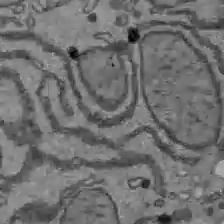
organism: C57BL Mouse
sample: Liver